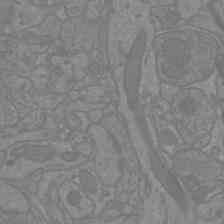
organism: Mouse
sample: Cortical neurons